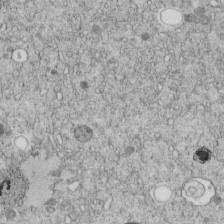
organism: C. elegans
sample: C. elegans embryo early stage